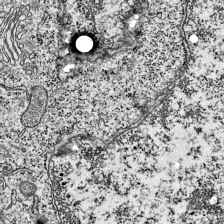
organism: Mouse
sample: Visual Cortex